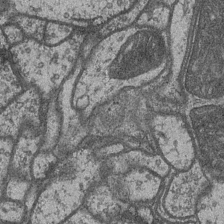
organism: Drosophila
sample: Optic medulla